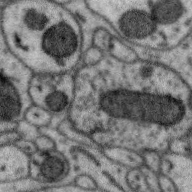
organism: Zebra finch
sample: Brain